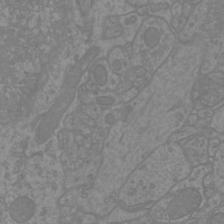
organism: Mouse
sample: Cortical neurons